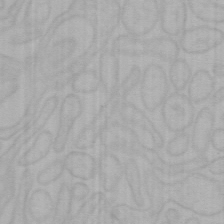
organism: Mouse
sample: Choroid plexus